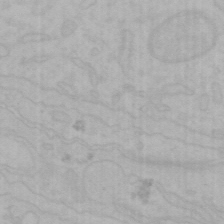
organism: Mouse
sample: Choroid plexus